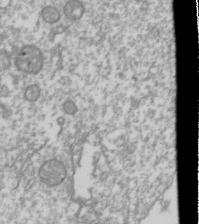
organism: Drosophila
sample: Cell division; meiosis; drosophila spermatocytes